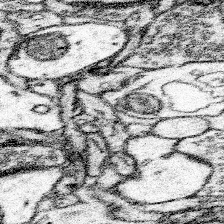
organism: Mouse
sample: Somatosensory cortex neuropil